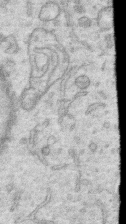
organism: Human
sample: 1205lu cells